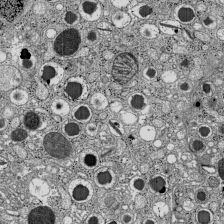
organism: C57BL Mouse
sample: Pancreatic islet